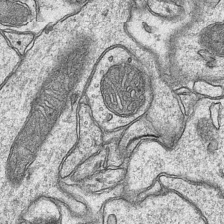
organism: Mouse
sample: CA1 Hippocampus